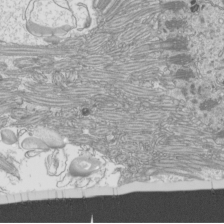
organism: Mouse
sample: Cilia; mouse epididymis